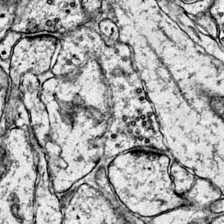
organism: Mouse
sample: Primary visual cortex